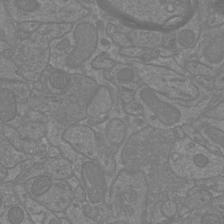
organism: Mouse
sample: Cortical neurons